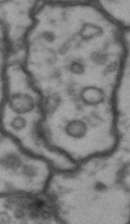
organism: Drosophila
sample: Brain